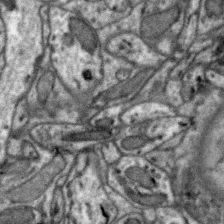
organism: Zebra finch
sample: Brain